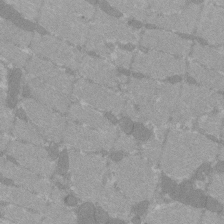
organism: C57BL Mouse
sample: Tibialis anterior muscle cell